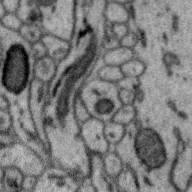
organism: Zebra finch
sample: Brain